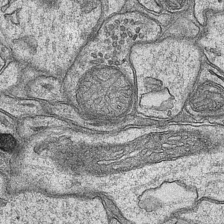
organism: Mouse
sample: CA1 Hippocampus